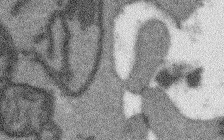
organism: Arabidopsis thaliana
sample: Root tip